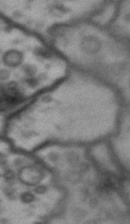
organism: Drosophila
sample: Brain